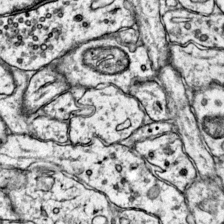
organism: Mouse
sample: Primary visual cortex